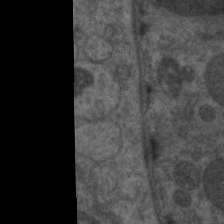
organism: C. elegans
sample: Pharynx